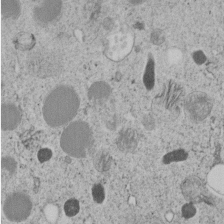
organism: C. elegans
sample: C. elegans embryo early stage